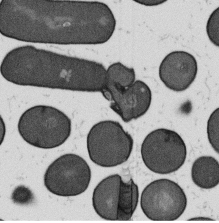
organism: B. subtilis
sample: Bacterial spore